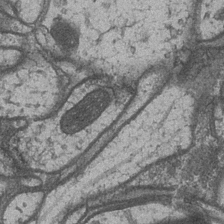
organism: Drosophila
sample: Optic medulla